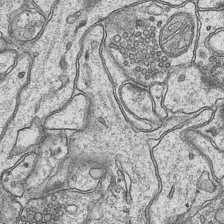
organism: Mouse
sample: CA1 Hippocampus